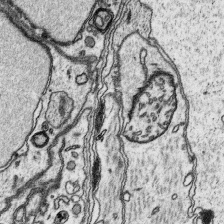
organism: Platynereis dumerilii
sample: Parapodia